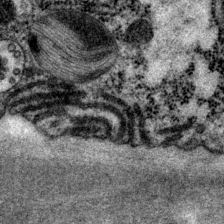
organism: P. pacificus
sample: Pharynx